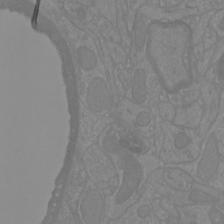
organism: Mouse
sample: Cortical neurons